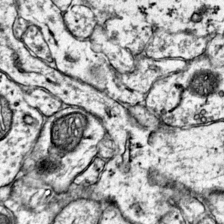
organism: Mouse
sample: Primary visual cortex